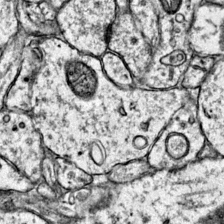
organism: Mouse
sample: Primary visual cortex